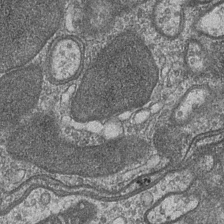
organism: Drosophila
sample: Optic medulla